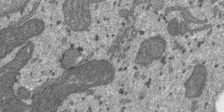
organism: Human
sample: Lung epithelial cells infected with SARS-CoV-2